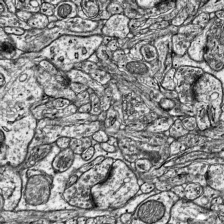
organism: Mouse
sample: Visual Cortex